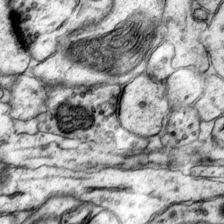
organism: Mouse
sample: Primary visual cortex